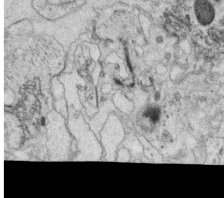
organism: C. elegans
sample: C. elegans oocyte; sperm cells